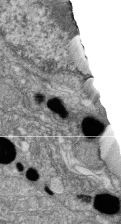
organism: Zebrafish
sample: Cilia; retinal pigment epithelium